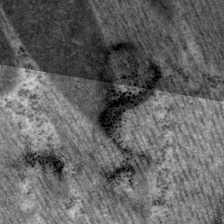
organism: P. pacificus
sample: Pharynx